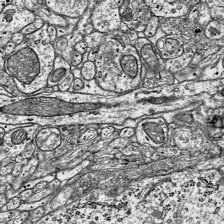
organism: Mouse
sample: Visual Cortex